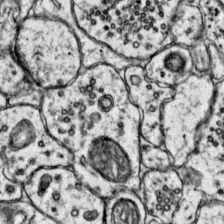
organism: Mouse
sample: Primary visual cortex